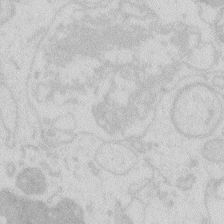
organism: Zebrafish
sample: Macrophage